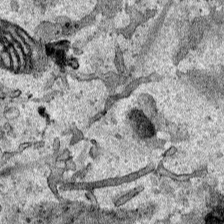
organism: Human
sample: Mitochondria in HCT116 cells